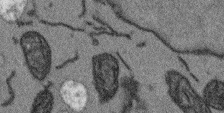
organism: Arabidopsis thaliana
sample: Root tip